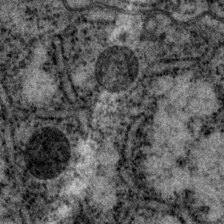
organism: P. pacificus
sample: Pharynx